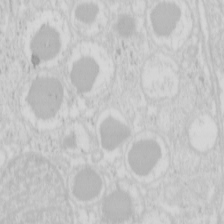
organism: Mouse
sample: Pancreas